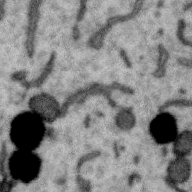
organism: Zebra finch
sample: Brain